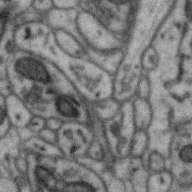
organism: Zebra finch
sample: Brain